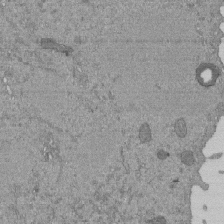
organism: Mouse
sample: ED-1 cell nuclei; centrioles